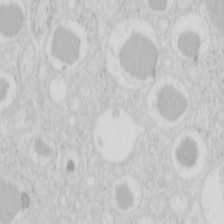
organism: Mouse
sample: Pancreas